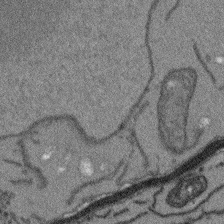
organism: Arabidopsis thaliana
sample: Root tip